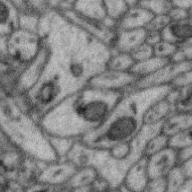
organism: Zebra finch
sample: Brain